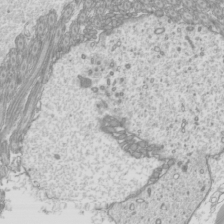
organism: Mouse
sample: Cilia; mouse epididymis